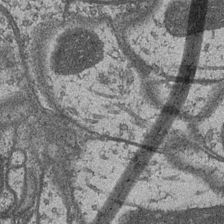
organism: Drosophila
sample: Optic medulla